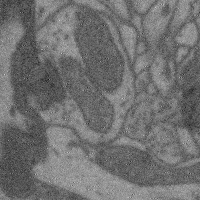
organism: Mouse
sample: Cerebral cortex